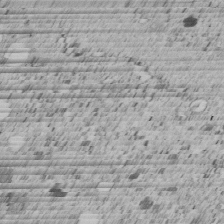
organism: C. elegans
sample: C. elegans embryo early stage